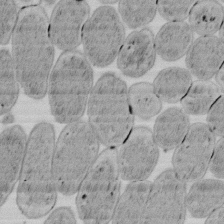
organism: E. coli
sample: Bacterial nucleoid